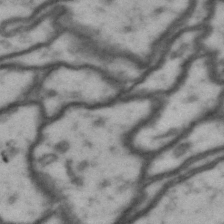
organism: Drosophila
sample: Brain